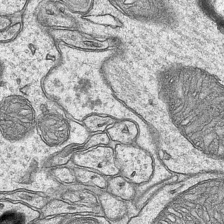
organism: Mouse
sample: CA1 Hippocampus